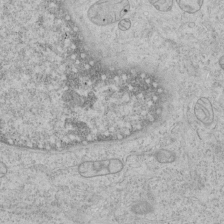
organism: Human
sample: Mitochondria in HCT116 cells